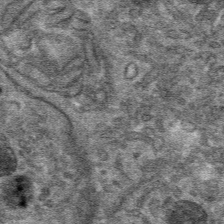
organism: Mouse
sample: Mouse hepatocytes